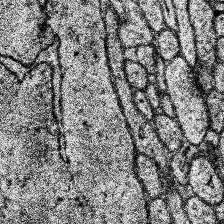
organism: Human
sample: Temporal Lobe